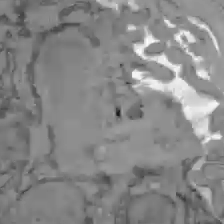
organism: C57BL Mouse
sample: Liver